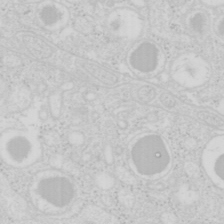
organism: Mouse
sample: Pancreas